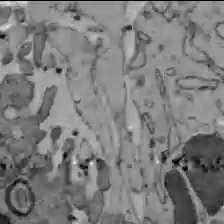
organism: C57BL Mouse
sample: Liver